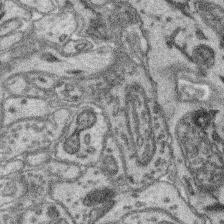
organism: Mouse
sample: Retina